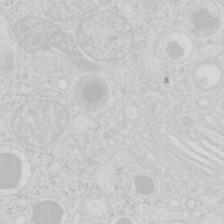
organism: Mouse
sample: Pancreas